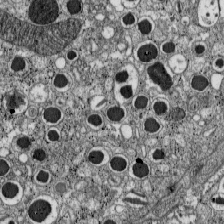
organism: C57BL Mouse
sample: Pancreatic islet